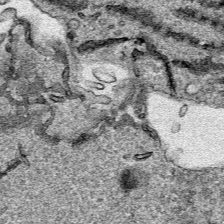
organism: Human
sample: Mitochondria in HCT116 cells